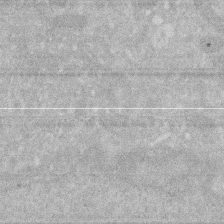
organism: Human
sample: HIV infected U937 cells